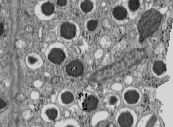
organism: C57BL Mouse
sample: Pancreatic islet